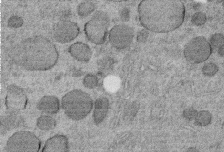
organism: C. elegans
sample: C. elegans embryo early stage